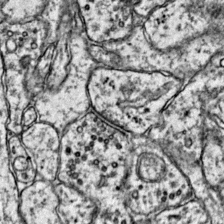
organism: Mouse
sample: Primary visual cortex